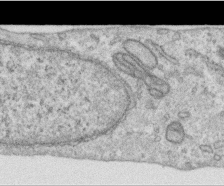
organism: Human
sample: Centriole in RPE cells